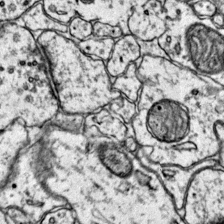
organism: Mouse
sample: Primary visual cortex